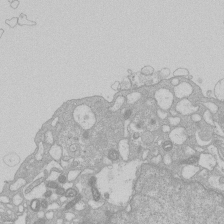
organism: Human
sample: Macrophage cells